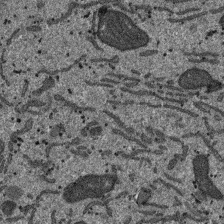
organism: Human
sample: Lung epithelial cells infected with SARS-CoV-2